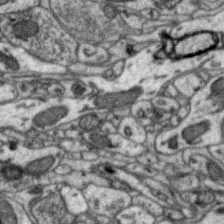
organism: Zebra finch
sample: Brain